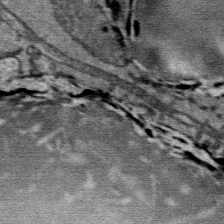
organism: Mouse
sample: Mouse Salivary gland